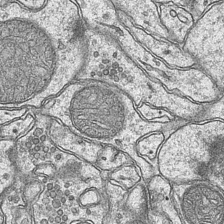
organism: Mouse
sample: CA1 Hippocampus